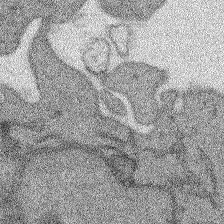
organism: Human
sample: HeLa cells